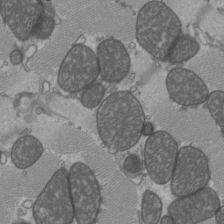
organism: C57BL Mouse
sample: Heart